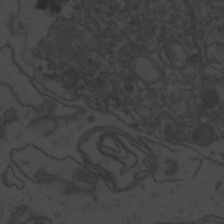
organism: Zebrafish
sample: Macrophage infected with Toxoplasma gondii